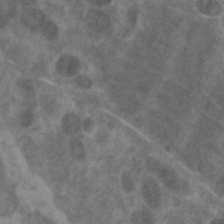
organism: Zebrafish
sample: Zebrafish embryo